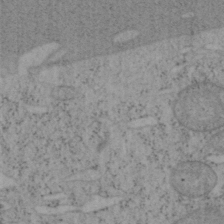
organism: Mouse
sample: OT-I killer T cells with ID8 ovarian cancer cells